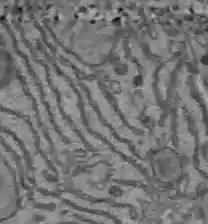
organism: C57BL Mouse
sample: Liver